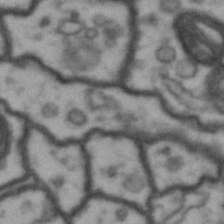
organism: Drosophila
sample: Brain